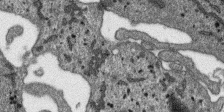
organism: Human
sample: Lung epithelial cells infected with SARS-CoV-2